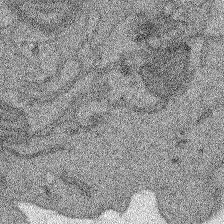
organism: Human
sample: HeLa cells